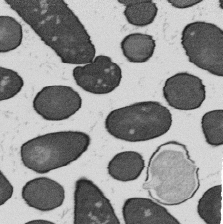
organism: B. subtilis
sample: Bacterial spore